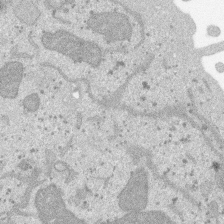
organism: Human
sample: Lung epithelial cells infected with SARS-CoV-2